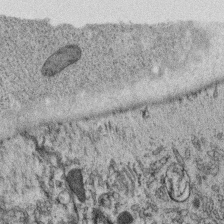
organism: C. elegans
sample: C. elegans oocyte; sperm cells